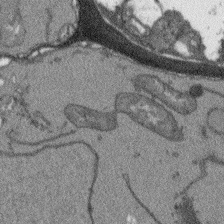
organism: Arabidopsis thaliana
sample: Root tip